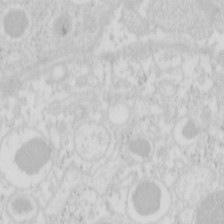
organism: Mouse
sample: Pancreas